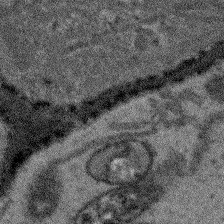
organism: Arabidopsis thaliana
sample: Root tip